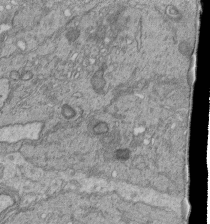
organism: Human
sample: Retinal organoid Rod and Cone cells